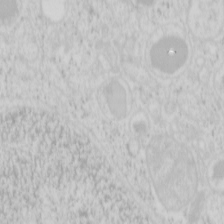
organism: Mouse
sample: Pancreas